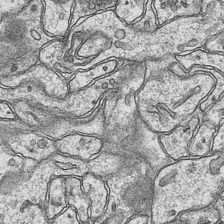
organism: Mouse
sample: CA1 Hippocampus